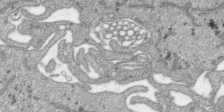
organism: Human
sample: Lung epithelial cells infected with SARS-CoV-2